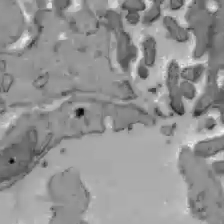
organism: C57BL Mouse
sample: Liver